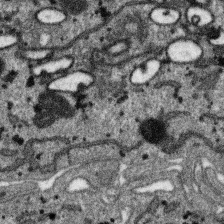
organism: Human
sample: Lung epithelial cells infected with SARS-CoV-2